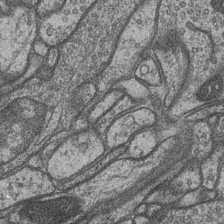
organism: Drosophila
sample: Optic medulla